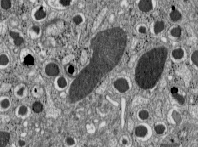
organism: C57BL Mouse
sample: Pancreatic islet